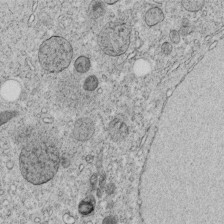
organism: C. elegans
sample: C. elegans embryo early stage